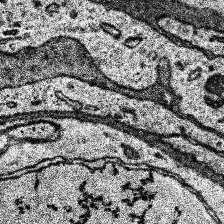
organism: Human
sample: Temporal Lobe